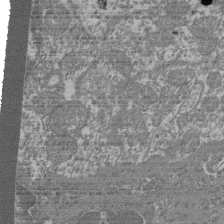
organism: Mouse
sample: Glomerulus